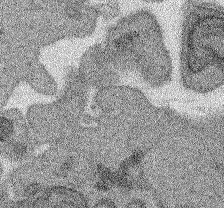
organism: Human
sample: HeLa cells